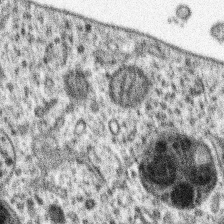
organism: Human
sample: HeLa cells